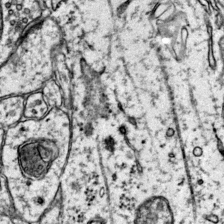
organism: Mouse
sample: Primary visual cortex